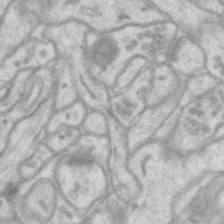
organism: Mouse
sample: CA1 Hippocampus